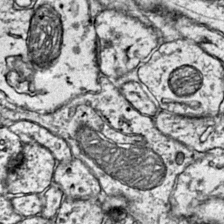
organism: Mouse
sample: Primary visual cortex